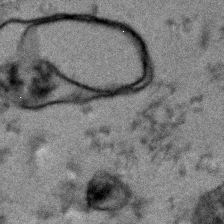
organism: Human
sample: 1205lu cells